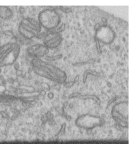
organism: Human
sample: Centriole in RPE cells